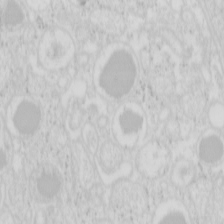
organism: Mouse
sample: Pancreas